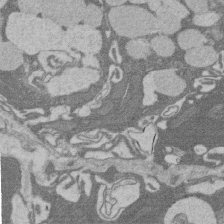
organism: Rat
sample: Salivary granule